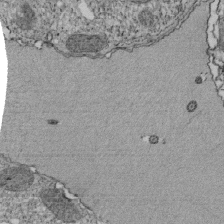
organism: Tetrahymena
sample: Cilia in tetrahymena